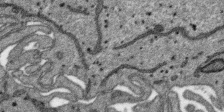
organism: Human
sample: Lung epithelial cells, uninfected (mock) control